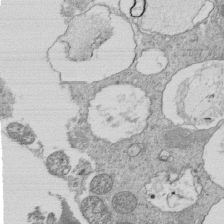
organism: Tetrahymena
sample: Cilia in tetrahymena